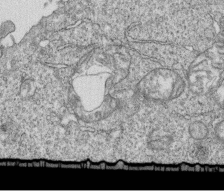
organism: Human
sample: HeLa cell HIV synapse